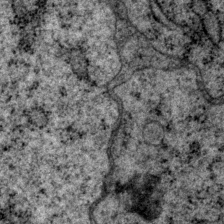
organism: P. pacificus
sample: Pharynx